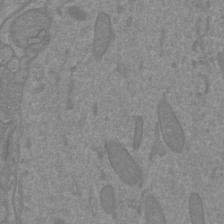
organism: Mouse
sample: Cortical neurons